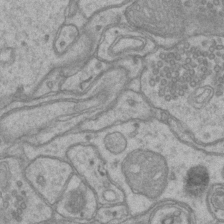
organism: Mouse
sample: CA1 Hippocampus